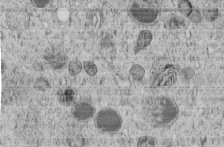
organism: C. elegans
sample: C. elegans embryo early stage